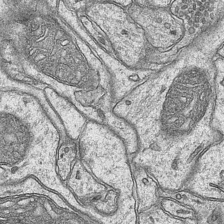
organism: Mouse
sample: CA1 Hippocampus